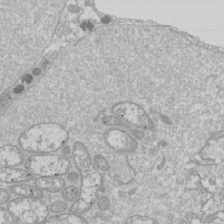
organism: Drosophila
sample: Cell division; meiosis; drosophila spermatocytes